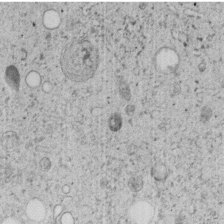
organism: C. elegans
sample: C. elegans embryo early stage